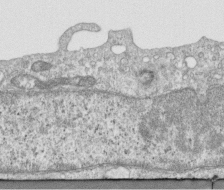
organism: Human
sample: Centriole in RPE cells